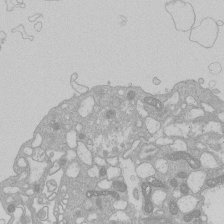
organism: Human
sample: Macrophage cells